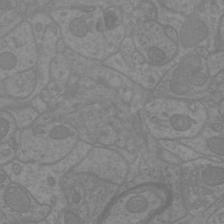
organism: Mouse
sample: Cortical neurons